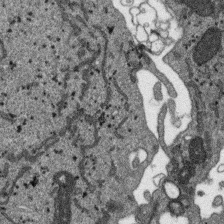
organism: Human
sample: Lung epithelial cells infected with SARS-CoV-2